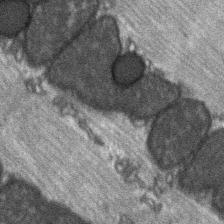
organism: C57BL Mouse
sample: Soleus